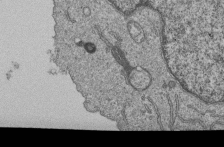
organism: Human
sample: MDA-MB-231 cells